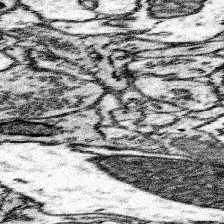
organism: Mouse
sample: Somatosensory cortex neuropil